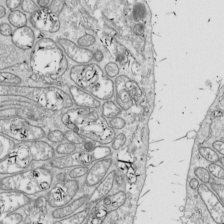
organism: Drosophila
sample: Cell division; meiosis; drosophila spermatocytes